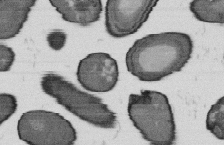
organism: B. subtilis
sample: Bacterial spore